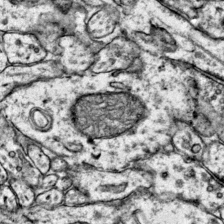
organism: Mouse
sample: Primary visual cortex